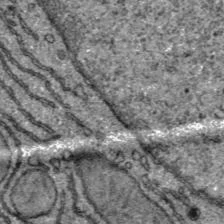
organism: C57BL Mouse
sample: Liver